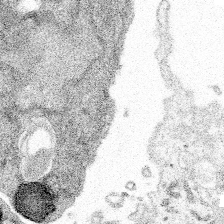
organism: Spongilla lacustris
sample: Multiple